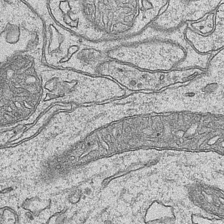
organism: Mouse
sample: CA1 Hippocampus